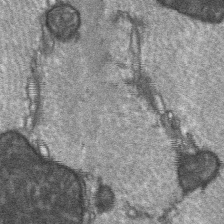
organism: C57BL Mouse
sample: Soleus